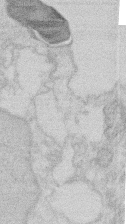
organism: Mouse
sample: T cell stromal cell synapse